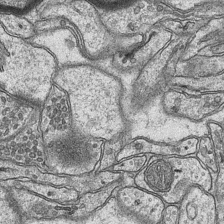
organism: Mouse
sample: CA1 Hippocampus